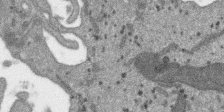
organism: Human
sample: Lung epithelial cells infected with SARS-CoV-2